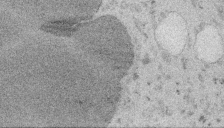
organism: Embia sp.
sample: Silk gland